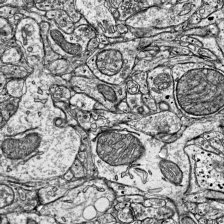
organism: Mouse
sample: Visual Cortex